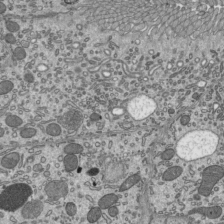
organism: Mouse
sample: Mouse epididymis efferent ductule cilia